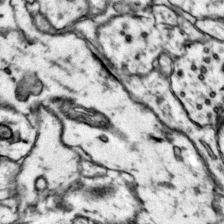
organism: Mouse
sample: Primary visual cortex